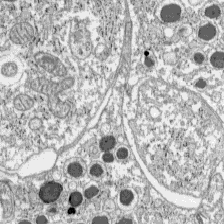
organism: C57BL Mouse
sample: Pancreatic islet